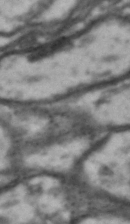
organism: Drosophila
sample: Brain